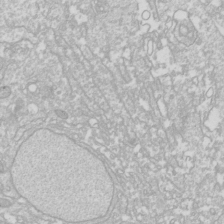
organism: Drosophila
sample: Cell division; meiosis; drosophila spermatocytes